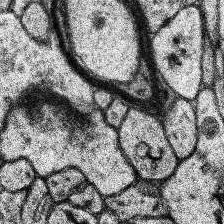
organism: Human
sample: Temporal Lobe